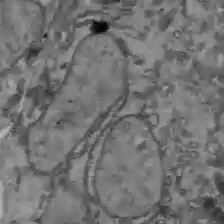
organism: C57BL Mouse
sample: Liver